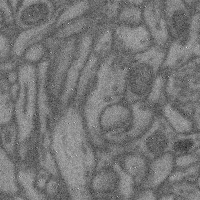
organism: Mouse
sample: Cerebral cortex